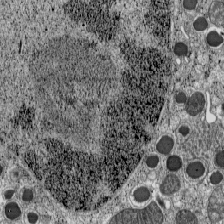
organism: C57BL Mouse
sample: Pancreatic islet